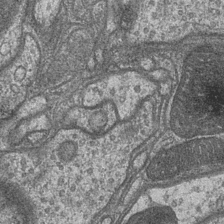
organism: Drosophila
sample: Optic medulla